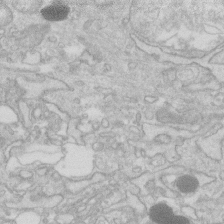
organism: Human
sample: Fibroblast cells